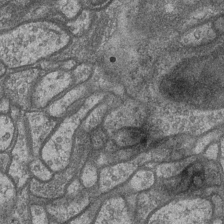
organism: Drosophila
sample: Optic medulla